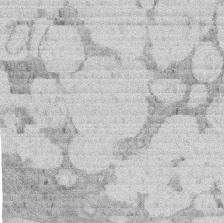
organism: Rat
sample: Salivary granule